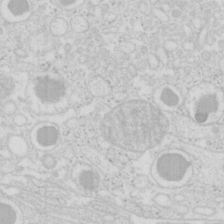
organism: Mouse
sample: Pancreas